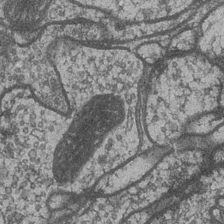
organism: Drosophila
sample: Optic medulla